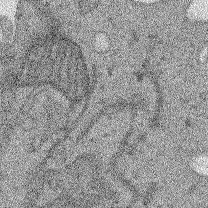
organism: Human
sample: HeLa cells